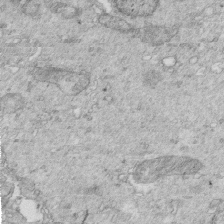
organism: Mouse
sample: Multiciliated cells